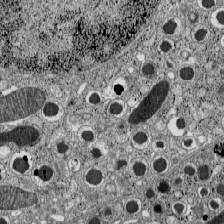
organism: C57BL Mouse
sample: Pancreatic islet